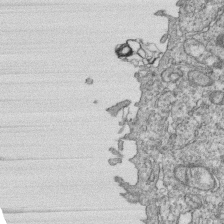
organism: Human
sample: HeLa cell HIV synapse